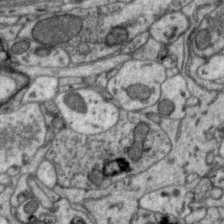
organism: Zebra finch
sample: Brain